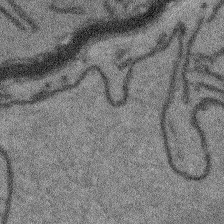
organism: Arabidopsis thaliana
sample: Root tip